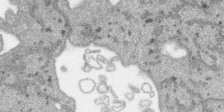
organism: Human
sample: Lung epithelial cells infected with SARS-CoV-2